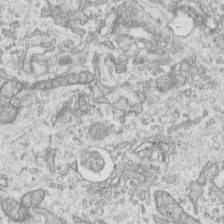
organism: Human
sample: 1205lu cells